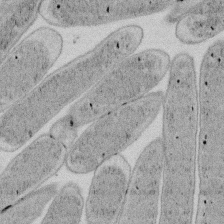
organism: E. coli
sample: Bacterial nucleoid